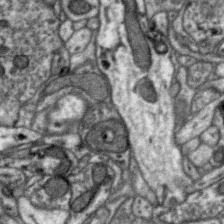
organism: Zebra finch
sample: Brain